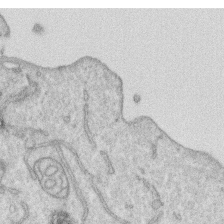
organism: Human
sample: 1205lu cells